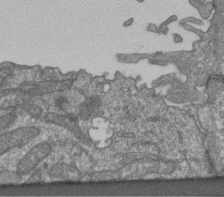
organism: Human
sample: Retinal organoid Rod and Cone cells